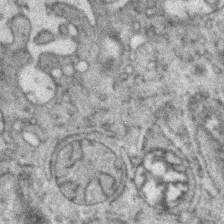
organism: Zebrafish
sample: Zebrafish embryo